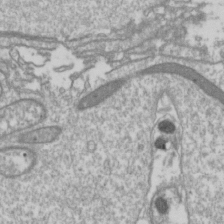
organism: Drosophila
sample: Cell division; meiosis; drosophila spermatocytes